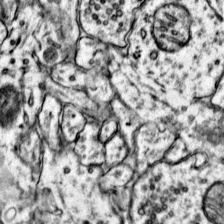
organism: Mouse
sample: Primary visual cortex